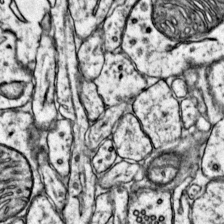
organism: Mouse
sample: Primary visual cortex